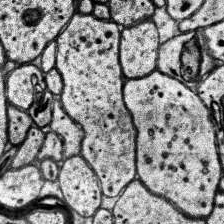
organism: Human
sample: Temporal Lobe